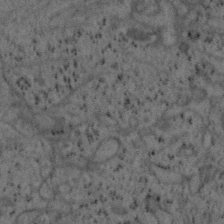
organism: Human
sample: HeLa cells